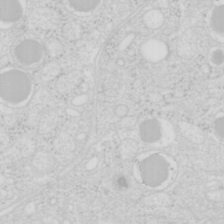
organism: Mouse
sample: Pancreas